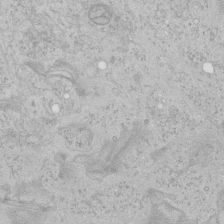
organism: Human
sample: Mitochondria in HCT116 cells